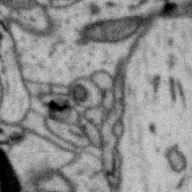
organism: Zebra finch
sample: Brain